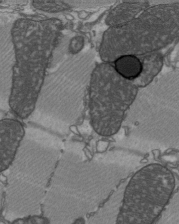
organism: C57BL Mouse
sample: Heart